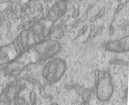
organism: Human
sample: Centriole in RPE cells